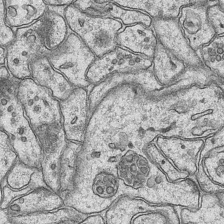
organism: Mouse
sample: CA1 Hippocampus